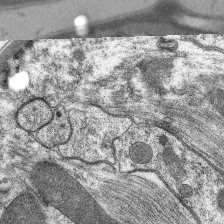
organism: C. elegans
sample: Pharynx